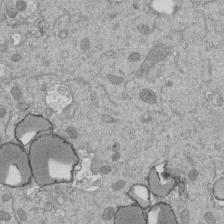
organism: Mouse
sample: ED-1 cell nuclei; centrioles